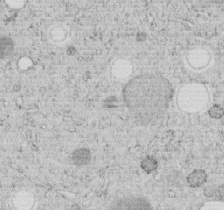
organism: C. elegans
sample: C. elegans embryo early stage